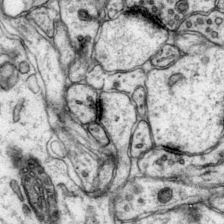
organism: Mouse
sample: Primary visual cortex